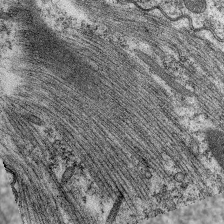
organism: C. elegans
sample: Pharynx